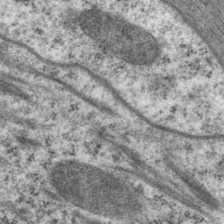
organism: P. pacificus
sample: Pharynx